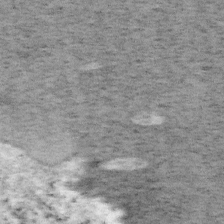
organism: Mouse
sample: OT-I killer T cells with ID8 ovarian cancer cells